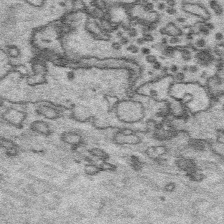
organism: Platynereis dumerilii